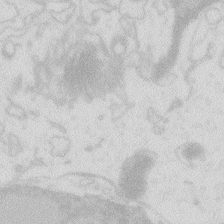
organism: Zebrafish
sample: Macrophage